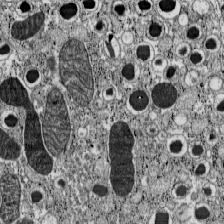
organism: C57BL Mouse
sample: Pancreatic islet